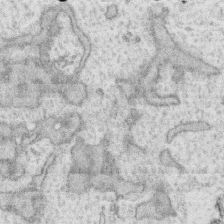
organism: Human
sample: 1205lu cells